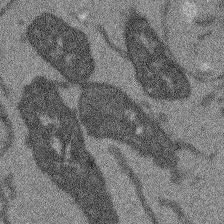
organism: Arabidopsis thaliana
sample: Root tip